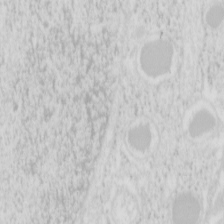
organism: Mouse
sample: Pancreas